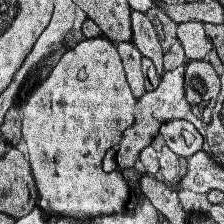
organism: Human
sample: Temporal Lobe